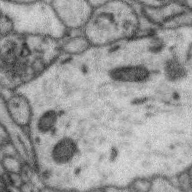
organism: Zebra finch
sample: Brain